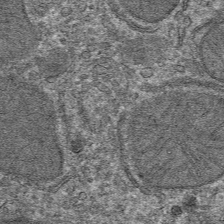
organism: Mouse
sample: Mouse hepatocytes